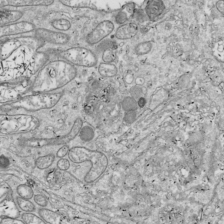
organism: Drosophila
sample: Cell division; meiosis; drosophila spermatocytes